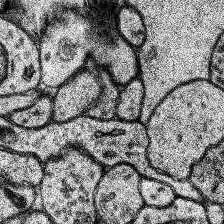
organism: Human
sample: Temporal Lobe